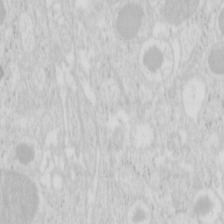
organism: Mouse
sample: Pancreas